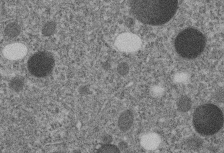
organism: C. elegans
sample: C. elegans embryo early stage